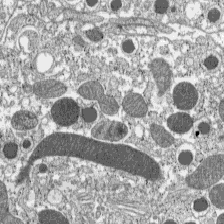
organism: C57BL Mouse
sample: Pancreatic islet